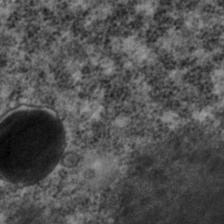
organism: C. elegans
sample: C. elegans embryo